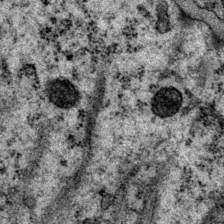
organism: P. pacificus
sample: Pharynx